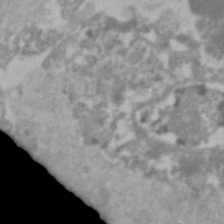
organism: Human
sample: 1205lu cells